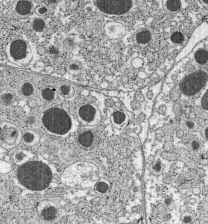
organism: C57BL Mouse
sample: Pancreatic islet